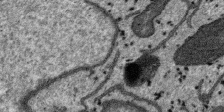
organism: Human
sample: Lung epithelial cells, uninfected (mock) control